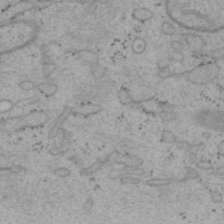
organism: Human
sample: HeLa cells